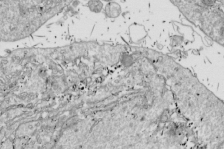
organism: Drosophila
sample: Cell division; meiosis; drosophila spermatocytes